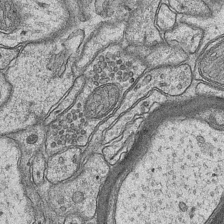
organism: Mouse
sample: CA1 Hippocampus